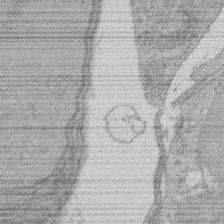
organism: Rat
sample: Salivary granule